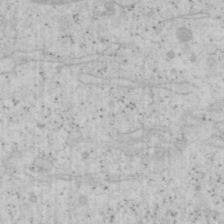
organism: Human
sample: HeLa cells